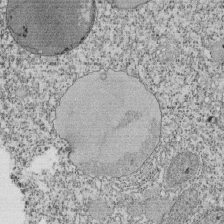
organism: Tetrahymena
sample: Cilia in tetrahymena